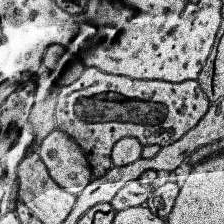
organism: Human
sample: Temporal Lobe